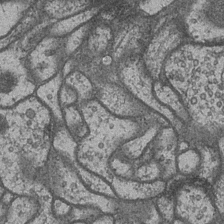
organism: Drosophila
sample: Optic medulla